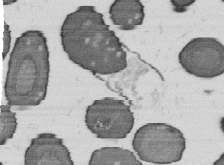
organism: B. subtilis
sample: Bacterial spore